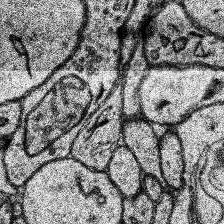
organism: Human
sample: Temporal Lobe